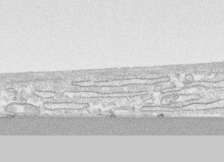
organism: Human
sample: CRL-1474